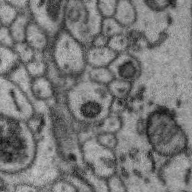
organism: Zebra finch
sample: Brain